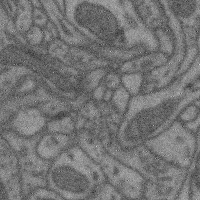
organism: Mouse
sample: Cerebral cortex